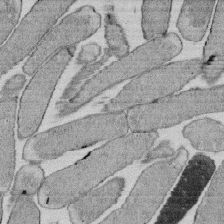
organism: E. coli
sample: Bacterial nucleoid